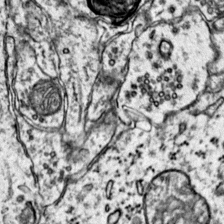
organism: Mouse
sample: Primary visual cortex